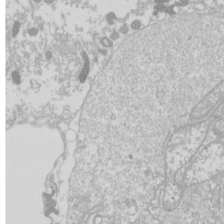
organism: Drosophila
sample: Cell division; meiosis; drosophila spermatocytes